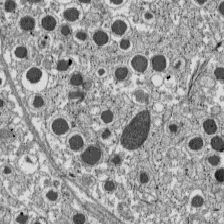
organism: C57BL Mouse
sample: Pancreatic islet